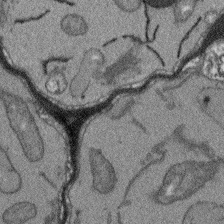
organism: Arabidopsis thaliana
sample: Root tip